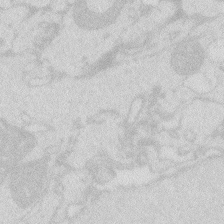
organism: Zebrafish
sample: Macrophage